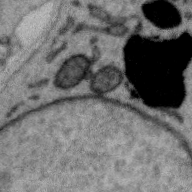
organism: Zebra finch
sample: Brain